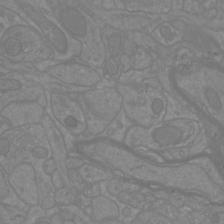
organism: Mouse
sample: Cortical neurons